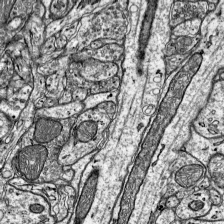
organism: Mouse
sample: Visual Cortex